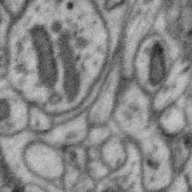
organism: Zebra finch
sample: Brain